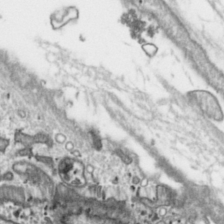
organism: Toxoplasma gondii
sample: Parasites in a vacuole inside a host cell